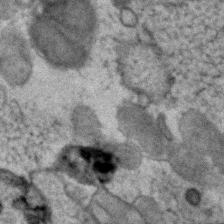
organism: Human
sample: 1205lu cells